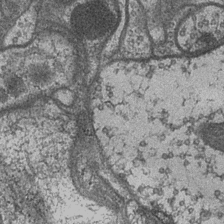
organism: Drosophila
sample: Optic medulla